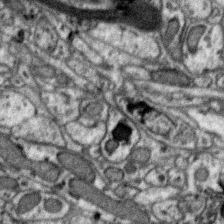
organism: Zebra finch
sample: Brain